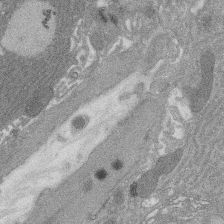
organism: Rat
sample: Salivary granule